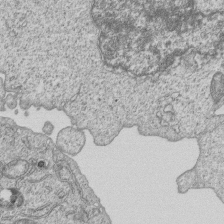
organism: Human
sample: MDA-MB-231 cells